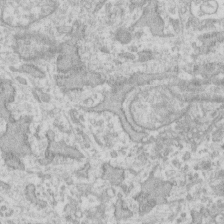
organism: Human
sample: Fibroblast cells